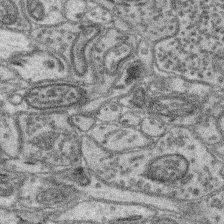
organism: Mouse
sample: Retina